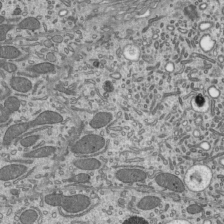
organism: Mouse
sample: Mouse epididymis efferent ductule cilia